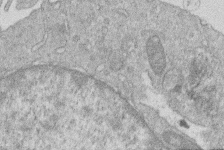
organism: Human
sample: Macrophage cells